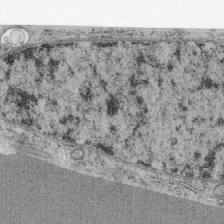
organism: Human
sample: HeLa cells